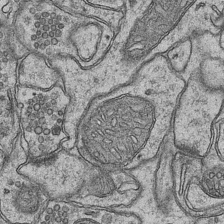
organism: Mouse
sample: CA1 Hippocampus